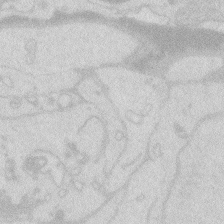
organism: Zebrafish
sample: Macrophage